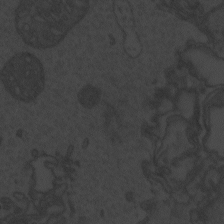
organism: Zebrafish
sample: Macrophage infected with Toxoplasma gondii